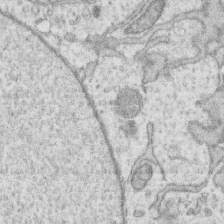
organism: Human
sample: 1205lu cells